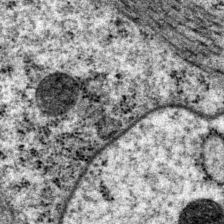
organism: P. pacificus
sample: Pharynx